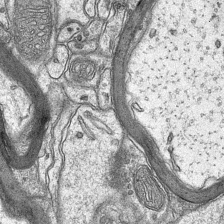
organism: Mouse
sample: CA1 Hippocampus